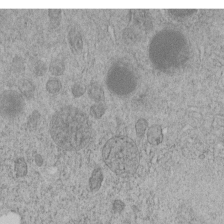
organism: C. elegans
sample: C. elegans embryo early stage